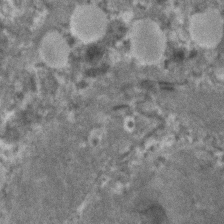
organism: Human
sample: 1205lu cells